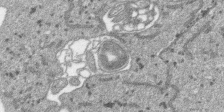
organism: Human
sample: Lung epithelial cells infected with SARS-CoV-2